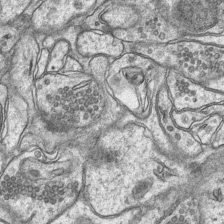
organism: Mouse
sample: CA1 Hippocampus